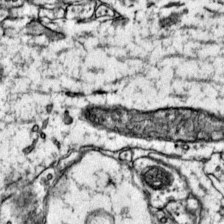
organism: Mouse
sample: Primary visual cortex